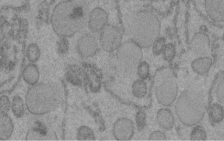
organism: C. elegans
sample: C. elegans embryo early stage